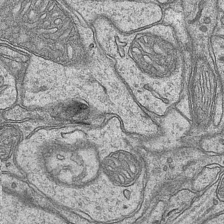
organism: Mouse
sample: CA1 Hippocampus